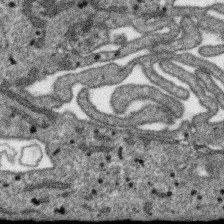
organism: Human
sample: Lung epithelial cells infected with SARS-CoV-2